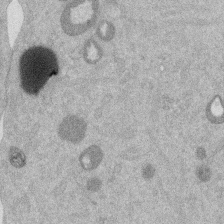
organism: Mouse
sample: Dividing mouse embryo 1 cell stage